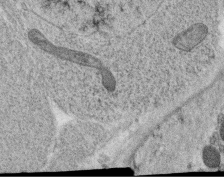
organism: C. elegans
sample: C. elegans oocyte; sperm cells